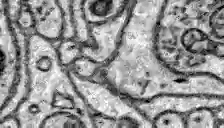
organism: Zebrafish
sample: Brain